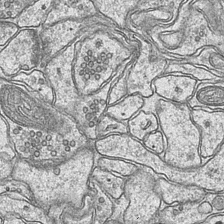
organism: Mouse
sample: CA1 Hippocampus